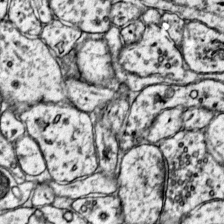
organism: Mouse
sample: Primary visual cortex